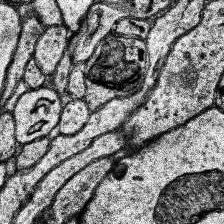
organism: Human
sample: Temporal Lobe